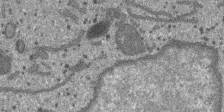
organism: Human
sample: Lung epithelial cells infected with SARS-CoV-2